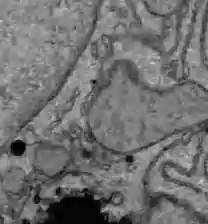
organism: C57BL Mouse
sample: Liver